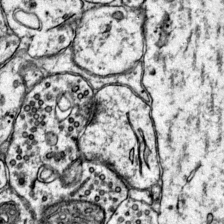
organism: Mouse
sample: Primary visual cortex